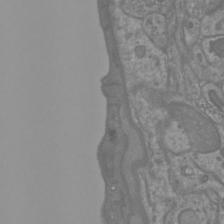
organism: Mouse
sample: Cortical neurons